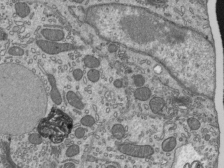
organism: Mouse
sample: Mouse epididymis efferent ductule cilia